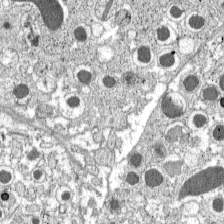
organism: C57BL Mouse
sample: Pancreatic islet